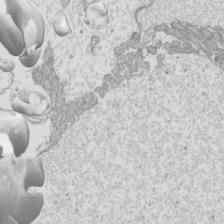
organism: Mouse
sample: Cilia; mouse epididymis